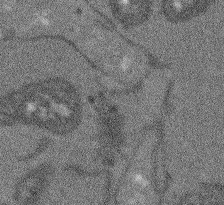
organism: Arabidopsis thaliana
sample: Root tip